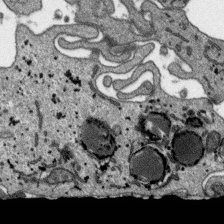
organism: Human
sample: Lung epithelial cells, uninfected (mock) control